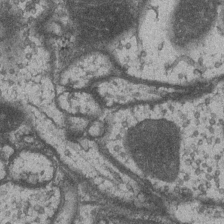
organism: Drosophila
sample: Optic medulla